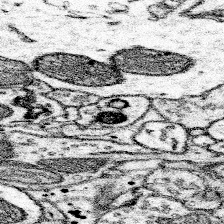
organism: Mouse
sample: Somatosensory cortex neuropil